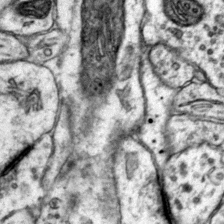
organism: Mouse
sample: Primary visual cortex